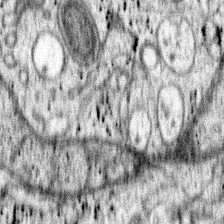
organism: Human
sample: HeLa cells